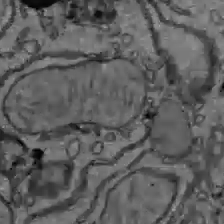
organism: C57BL Mouse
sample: Liver